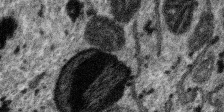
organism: Human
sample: Lung epithelial cells infected with SARS-CoV-2